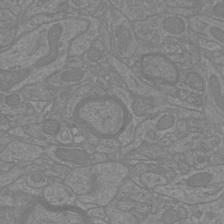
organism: Mouse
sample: Cortical neurons